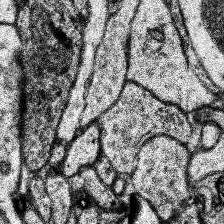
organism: Human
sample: Temporal Lobe